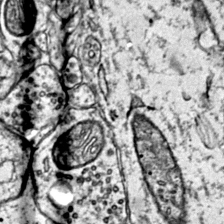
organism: Mouse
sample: Primary visual cortex